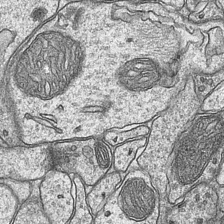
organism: Mouse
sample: CA1 Hippocampus